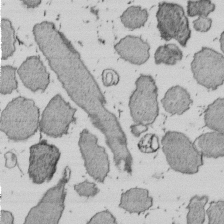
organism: E. coli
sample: Bacterial nucleoid